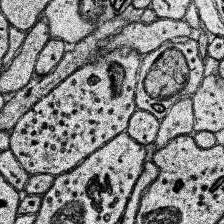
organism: Human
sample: Temporal Lobe